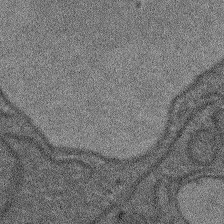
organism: Arabidopsis thaliana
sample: Root tip